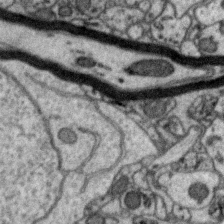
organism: Zebra finch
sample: Brain